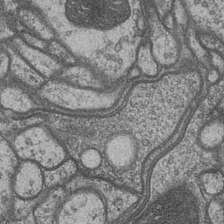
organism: Drosophila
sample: Optic medulla